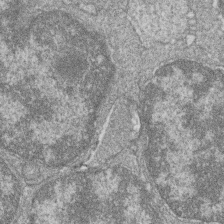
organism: Zebrafish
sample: Cilia; retinal pigment epithelium